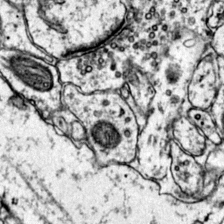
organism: Mouse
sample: Primary visual cortex